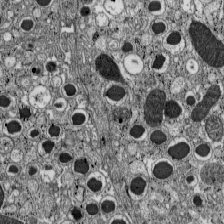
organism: C57BL Mouse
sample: Pancreatic islet